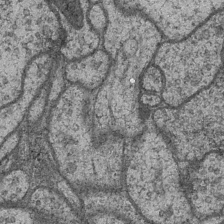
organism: Drosophila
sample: Optic medulla